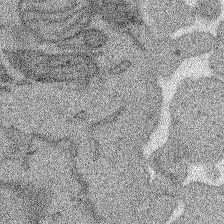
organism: Human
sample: HeLa cells